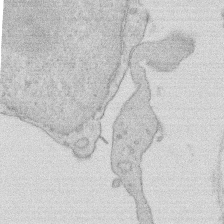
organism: Rat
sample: Salivary granule